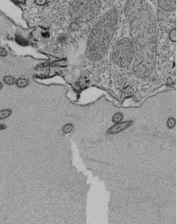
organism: Tetrahymena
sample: Cilia in tetrahymena